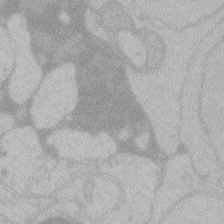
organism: Zebrafish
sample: Macrophage infected with Toxoplasma gondii